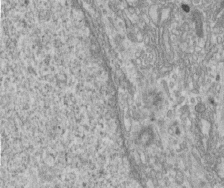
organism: Human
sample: Centriole in fibroblast cells